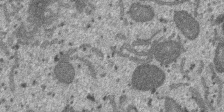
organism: Human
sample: Lung epithelial cells infected with SARS-CoV-2